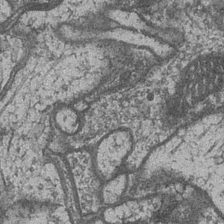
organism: Drosophila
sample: Optic medulla